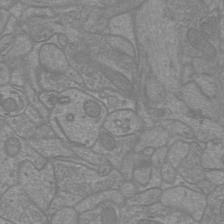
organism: Mouse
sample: Cortical neurons